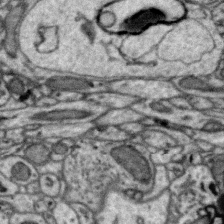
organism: Zebra finch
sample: Brain